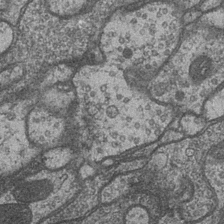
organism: Drosophila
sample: Optic medulla